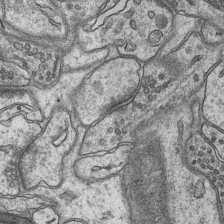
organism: Mouse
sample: CA1 Hippocampus